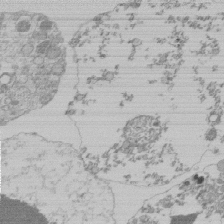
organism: Mouse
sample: Activated Pmel transgenic CD8+ T Cells